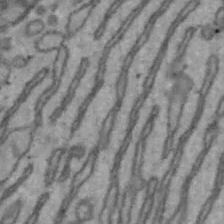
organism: Mouse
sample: Liver